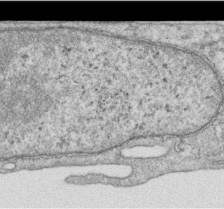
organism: Human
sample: Centriole in RPE cells